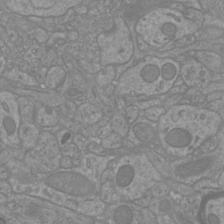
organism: Mouse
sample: Cortical neurons